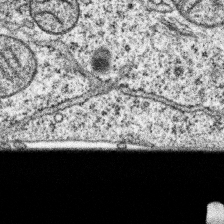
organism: Human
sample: HeLa cells